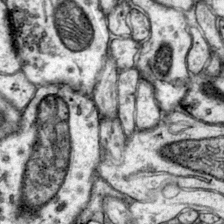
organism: Mouse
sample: Primary visual cortex